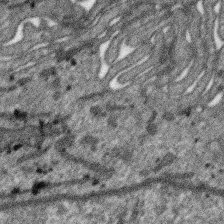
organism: Human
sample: Lung epithelial cells infected with SARS-CoV-2